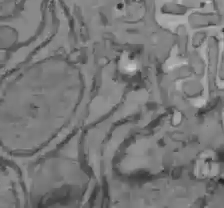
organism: C57BL Mouse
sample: Liver